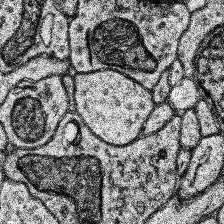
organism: Human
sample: Temporal Lobe